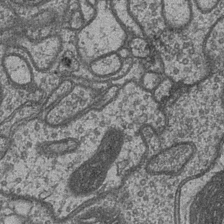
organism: Drosophila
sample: Optic medulla